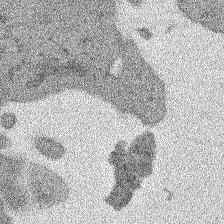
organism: Human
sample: HeLa cells